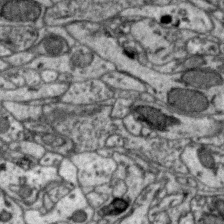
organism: Zebra finch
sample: Brain